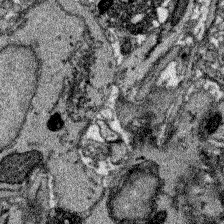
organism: Zebrafish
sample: Larval olfactory bulb